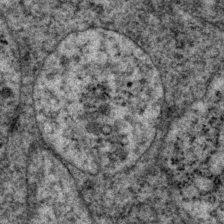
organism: P. pacificus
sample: Pharynx